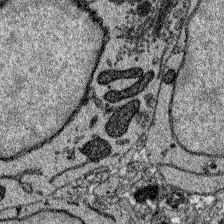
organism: Zebrafish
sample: Larval olfactory bulb